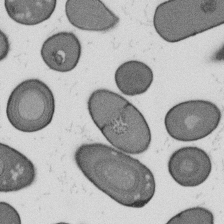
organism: B. subtilis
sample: Bacterial spore